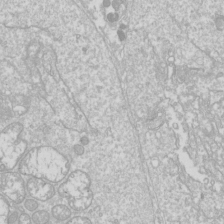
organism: Drosophila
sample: Cell division; meiosis; drosophila spermatocytes